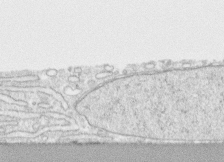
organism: Human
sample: CRL-1474